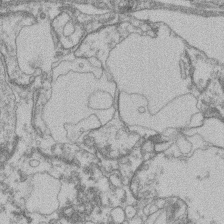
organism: Mouse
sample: T cell stromal cell synapse